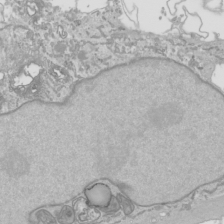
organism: Human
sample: Mitochondria in HCT116 cells